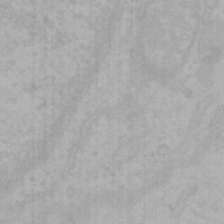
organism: Mouse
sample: Choroid plexus